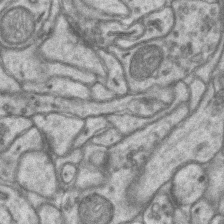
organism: Mouse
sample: CA1 Hippocampus